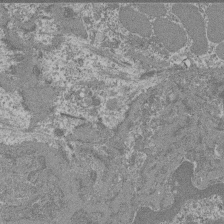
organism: Mouse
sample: Glomerulus